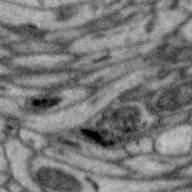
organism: Zebra finch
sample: Brain